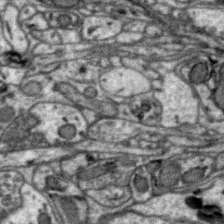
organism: Zebra finch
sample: Brain